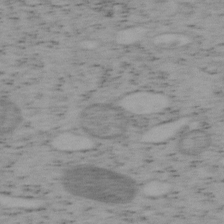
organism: Mouse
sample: OT-I killer T cells with ID8 ovarian cancer cells